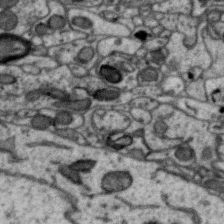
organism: Zebra finch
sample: Brain